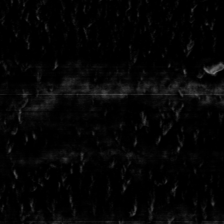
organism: Toxoplasma gondii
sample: Parasites in a vacuole inside a host cell